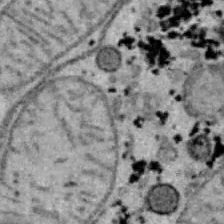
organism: Mouse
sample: Liver from an obese (ob/ob) mouse